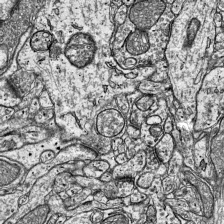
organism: Mouse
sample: Visual Cortex